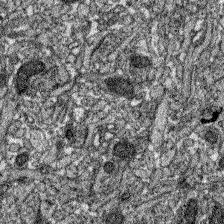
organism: Zebrafish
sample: Larval olfactory bulb